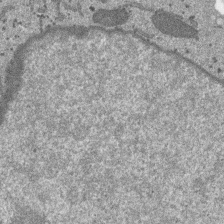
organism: Human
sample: Lung epithelial cells infected with SARS-CoV-2